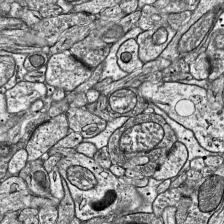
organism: Mouse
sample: Visual Cortex